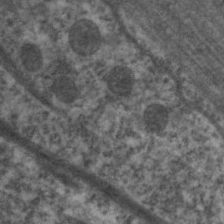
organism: C. elegans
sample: Pharynx